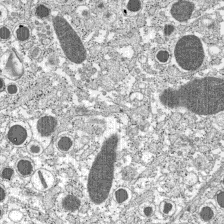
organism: C57BL Mouse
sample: Pancreatic islet